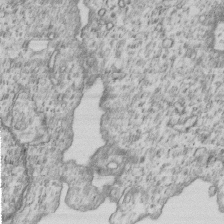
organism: Human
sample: MDA-MB-231 cells